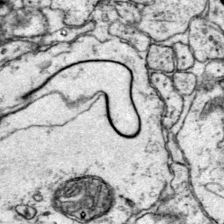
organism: Mouse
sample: Primary visual cortex